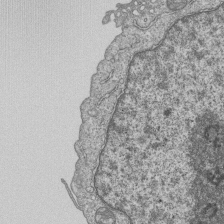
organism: Human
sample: MDA-MB-231 cells